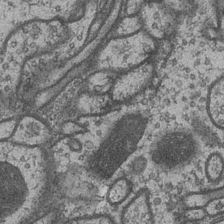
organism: Drosophila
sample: Optic medulla